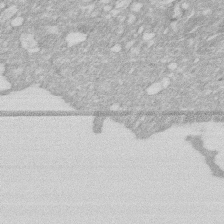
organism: Human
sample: HIV infected U937 cells